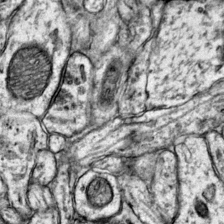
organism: Mouse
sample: Primary visual cortex